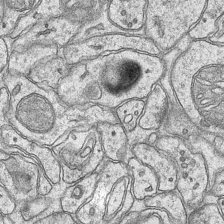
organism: Mouse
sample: CA1 Hippocampus